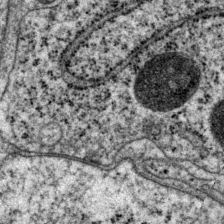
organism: P. pacificus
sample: Pharynx